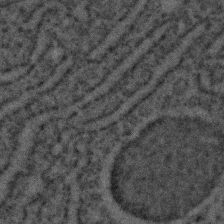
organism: C. elegans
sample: C. elegans embryo